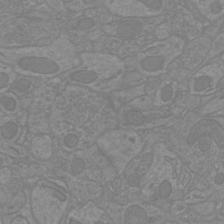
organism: Mouse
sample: Cortical neurons